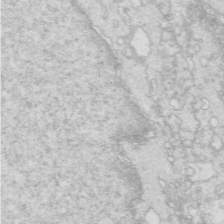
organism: Mouse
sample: Multiciliated cells